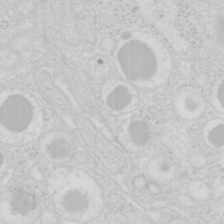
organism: Mouse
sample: Pancreas